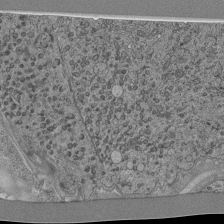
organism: C. elegans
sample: C. elegans pharynx